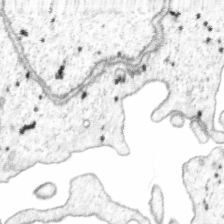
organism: Human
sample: HeLa cells